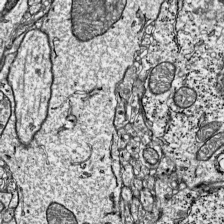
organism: Mouse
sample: Visual Cortex